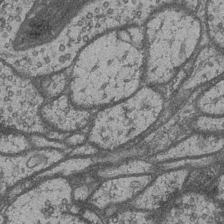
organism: Drosophila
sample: Optic medulla